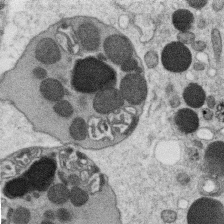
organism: C. elegans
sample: C. elegans oocyte; sperm cells